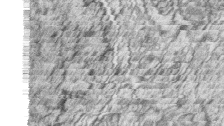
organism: Zebrafish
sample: synaptic ribbons in rod cells and cone cells